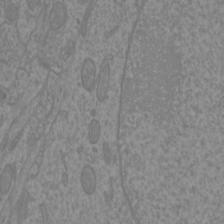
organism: Mouse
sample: Cortical neurons